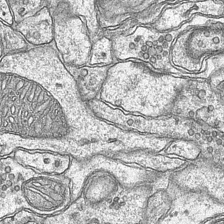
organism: Mouse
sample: CA1 Hippocampus